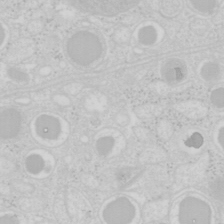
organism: Mouse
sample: Pancreas